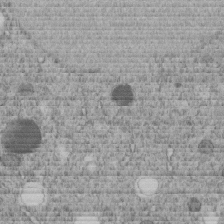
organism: C. elegans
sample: C. elegans embryo early stage